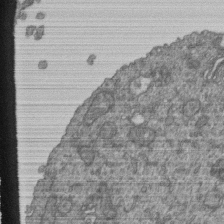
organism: Human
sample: Retinal organoid Rod and Cone cells